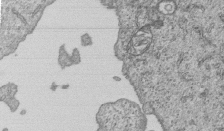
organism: Human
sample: MDA-MB-231 cells